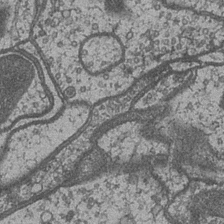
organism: Drosophila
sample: Optic medulla